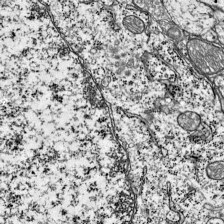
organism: Mouse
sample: Visual Cortex